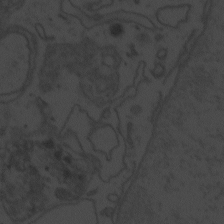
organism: Zebrafish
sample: Macrophage infected with Toxoplasma gondii